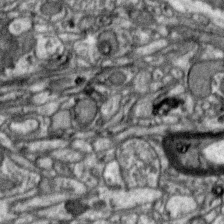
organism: Zebra finch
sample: Brain